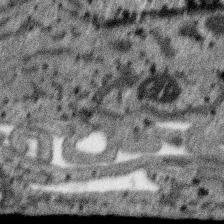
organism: Human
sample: Lung epithelial cells infected with SARS-CoV-2